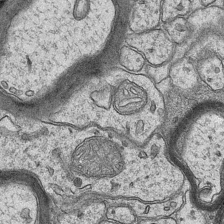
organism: Mouse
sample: CA1 Hippocampus